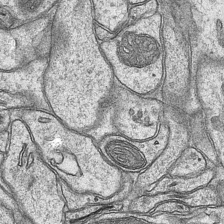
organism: Mouse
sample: CA1 Hippocampus